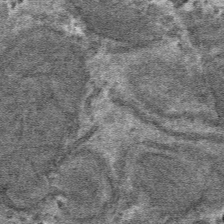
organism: Mouse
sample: Mouse hepatocytes